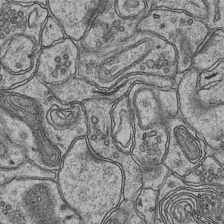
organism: Mouse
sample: CA1 Hippocampus